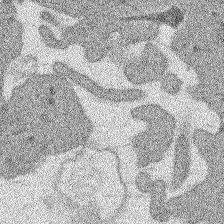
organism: Human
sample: HeLa cells